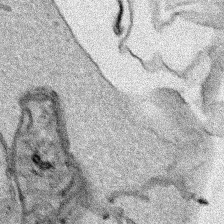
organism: Human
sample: Mitochondria in HCT116 cells